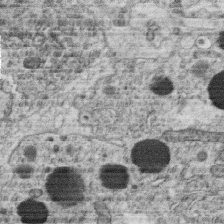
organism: C. elegans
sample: C. elegans oocyte; sperm cells